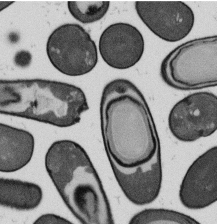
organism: B. subtilis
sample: Bacterial spore